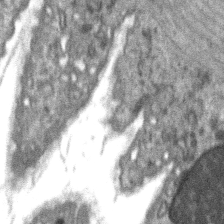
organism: C57BL Mouse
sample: Soleus